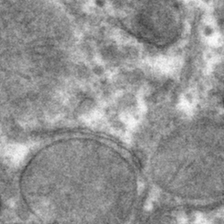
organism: Mouse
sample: Mouse hepatocytes